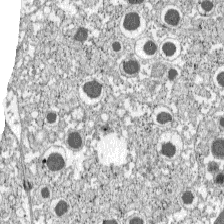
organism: C57BL Mouse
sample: Pancreatic islet